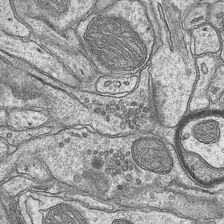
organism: Mouse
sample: CA1 Hippocampus